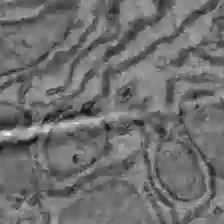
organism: C57BL Mouse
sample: Liver